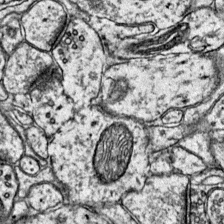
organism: Mouse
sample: Primary visual cortex